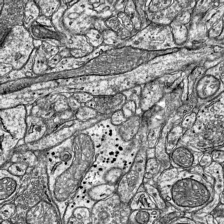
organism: Mouse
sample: Visual Cortex